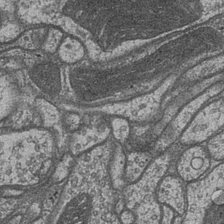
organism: Drosophila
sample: Optic medulla